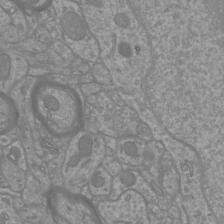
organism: Mouse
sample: Cortical neurons